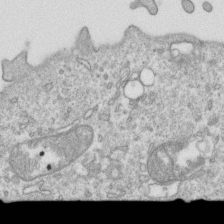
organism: Mouse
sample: Activated OT-1 CD8+ T cells